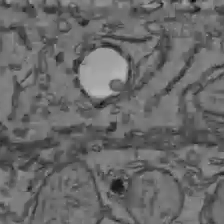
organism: C57BL Mouse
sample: Liver